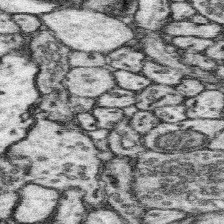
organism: Mouse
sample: Somatosensory cortex neuropil